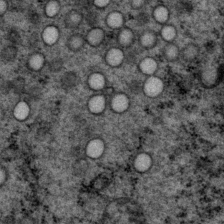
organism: P. pacificus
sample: Pharynx